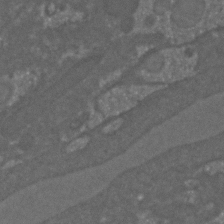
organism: C. elegans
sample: C. elegans embryo